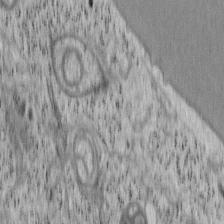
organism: Human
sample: HeLa cells